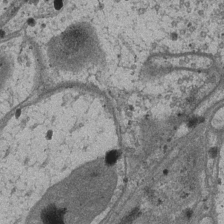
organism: Drosophila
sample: Optic medulla